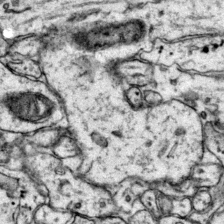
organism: Mouse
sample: Primary visual cortex